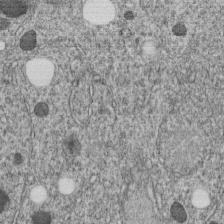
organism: C. elegans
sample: C. elegans embryo early stage